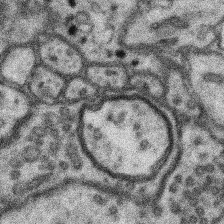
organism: Mouse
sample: Somatosensory cortex neuropil